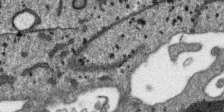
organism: Human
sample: Lung epithelial cells infected with SARS-CoV-2